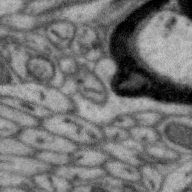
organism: Zebra finch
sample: Brain